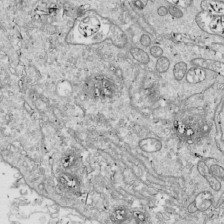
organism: Drosophila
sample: Cell division; meiosis; drosophila spermatocytes